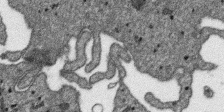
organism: Human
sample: Lung epithelial cells infected with SARS-CoV-2